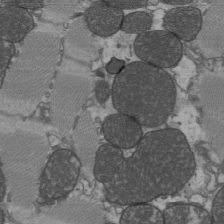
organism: C57BL Mouse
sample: Heart